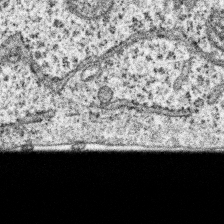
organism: Human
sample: HeLa cells